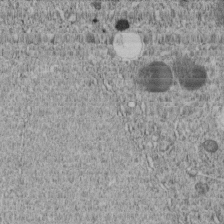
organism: C. elegans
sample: C. elegans embryo early stage